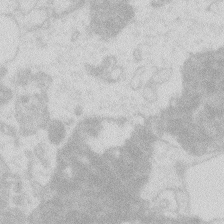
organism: Zebrafish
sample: Macrophage